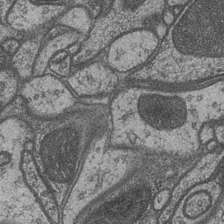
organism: Drosophila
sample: Optic medulla